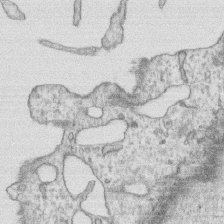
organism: Human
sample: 1205lu cells